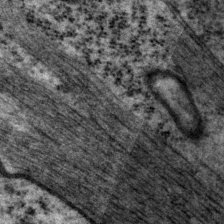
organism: P. pacificus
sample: Pharynx